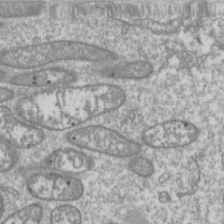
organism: Drosophila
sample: Cell division; meiosis; drosophila spermatocytes